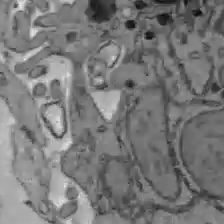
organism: C57BL Mouse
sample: Liver